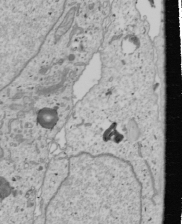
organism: Human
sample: Mitochondria in U2OS cells